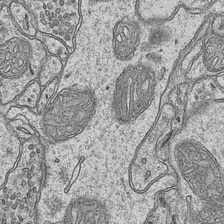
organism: Mouse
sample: CA1 Hippocampus